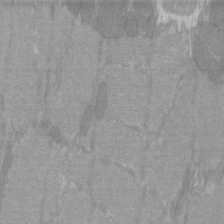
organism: C57BL Mouse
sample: Tibialis anterior muscle cell